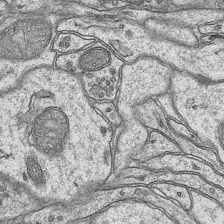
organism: Mouse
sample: CA1 Hippocampus